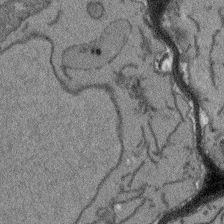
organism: Arabidopsis thaliana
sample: Root tip